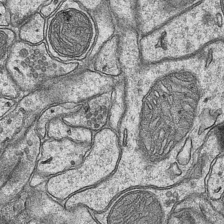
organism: Mouse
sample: CA1 Hippocampus